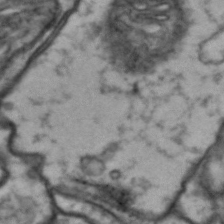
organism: Drosophila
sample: Brain